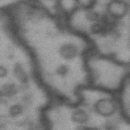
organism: Drosophila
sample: Brain